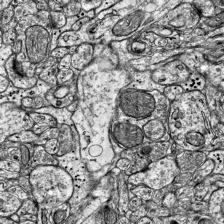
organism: Mouse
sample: Visual Cortex